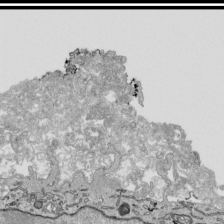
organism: Human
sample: Mitochondria in HCT116 cells